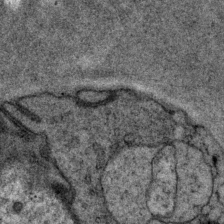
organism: P. pacificus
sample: Pharynx